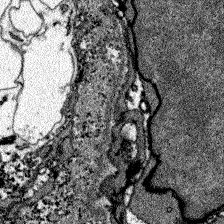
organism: Zebrafish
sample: Larval olfactory bulb